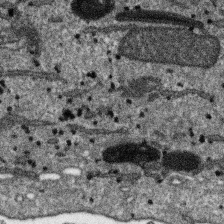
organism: Human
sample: Lung epithelial cells infected with SARS-CoV-2